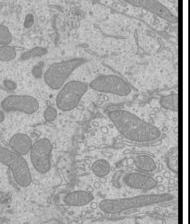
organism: Mouse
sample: Cilia; mouse epididymis